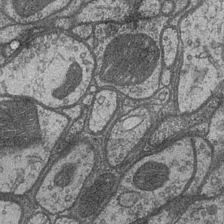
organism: Drosophila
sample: Optic medulla